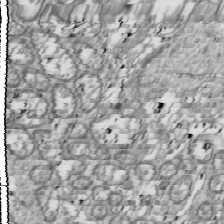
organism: Drosophila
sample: Cell division; meiosis; drosophila spermatocytes